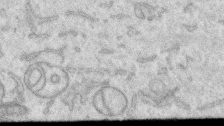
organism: Human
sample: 1205lu cells